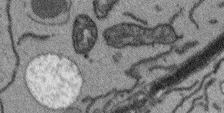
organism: Arabidopsis thaliana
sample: Root tip